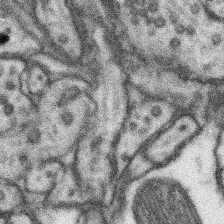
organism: Mouse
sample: Somatosensory cortex neuropil